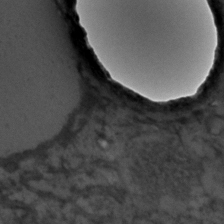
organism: C. elegans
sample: C. elegans embryo